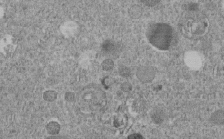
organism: C. elegans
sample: C. elegans embryo early stage